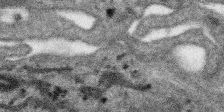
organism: Human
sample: Lung epithelial cells infected with SARS-CoV-2